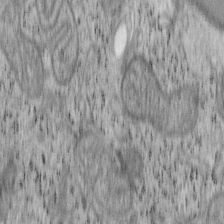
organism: Human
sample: HeLa cells